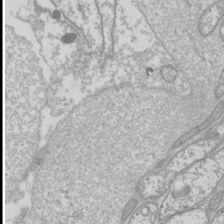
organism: Drosophila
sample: Cell division; meiosis; drosophila spermatocytes